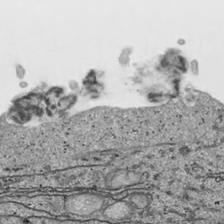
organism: Human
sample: HeLa cells